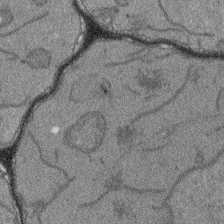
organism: Arabidopsis thaliana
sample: Root tip